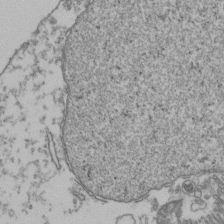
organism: Human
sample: Activated Jurkat CD4+ T cells